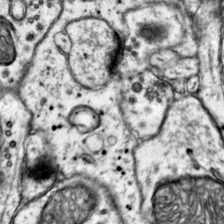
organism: Mouse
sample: Primary visual cortex